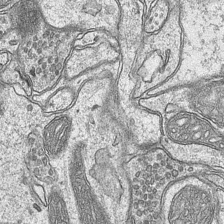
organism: Mouse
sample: CA1 Hippocampus